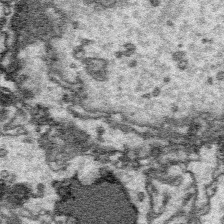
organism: Platynereis dumerilii